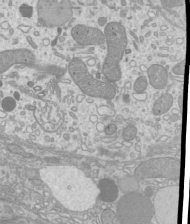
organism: Mouse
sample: Cilia; mouse epididymis